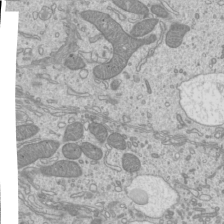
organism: Mouse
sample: Cilia; mouse epididymis